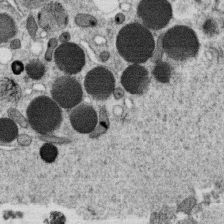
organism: C. elegans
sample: C. elegans oocyte; sperm cells